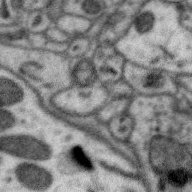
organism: Zebra finch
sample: Brain